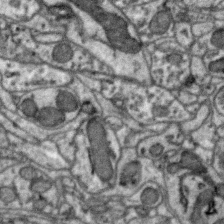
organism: Zebra finch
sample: Brain